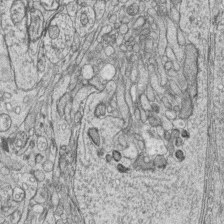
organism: Zebrafish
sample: synaptic ribbons in rod cells and cone cells